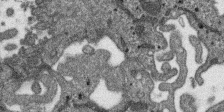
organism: Human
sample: Lung epithelial cells infected with SARS-CoV-2